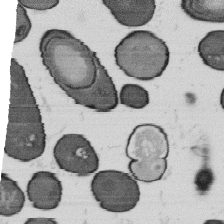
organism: B. subtilis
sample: Bacterial spore